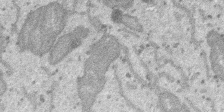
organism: Human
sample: Lung epithelial cells infected with SARS-CoV-2